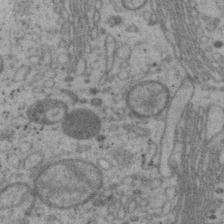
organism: Human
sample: HeLa cells